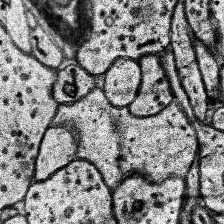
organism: Human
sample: Temporal Lobe